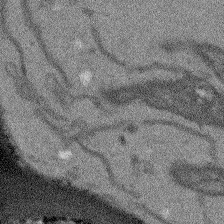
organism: Arabidopsis thaliana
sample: Root tip